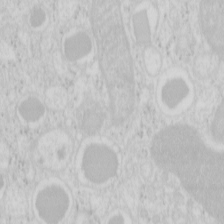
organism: Mouse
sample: Pancreas